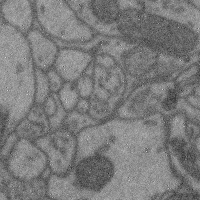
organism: Mouse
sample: Cerebral cortex